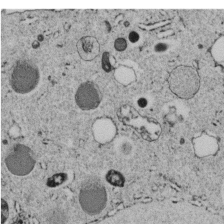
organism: C. elegans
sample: C. elegans embryo early stage